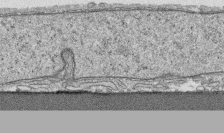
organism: Human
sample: CRL-1474